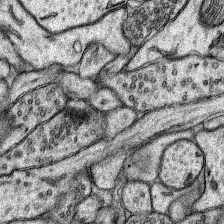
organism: Rat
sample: Hippocampus